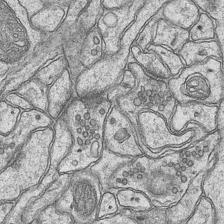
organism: Mouse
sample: CA1 Hippocampus